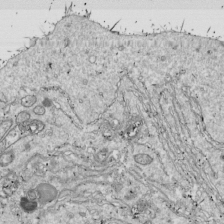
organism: Drosophila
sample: Cell division; meiosis; drosophila spermatocytes